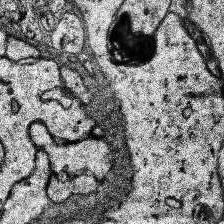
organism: Human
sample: Temporal Lobe